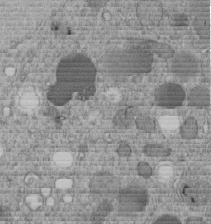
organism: C. elegans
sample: C. elegans embryo early stage